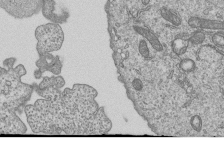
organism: Human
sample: MDA-MB-231 cells